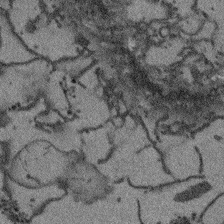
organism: Arabidopsis thaliana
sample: Root tip